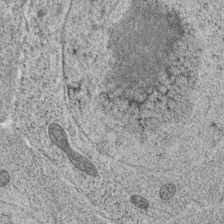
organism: C. elegans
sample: C. elegans oocyte; sperm cells